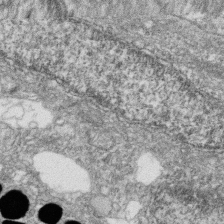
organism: Zebrafish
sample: Cilia; retinal pigment epithelium